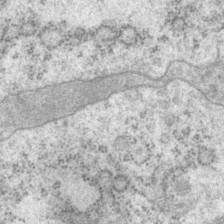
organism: P. pacificus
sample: Pharynx